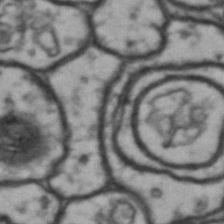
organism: Drosophila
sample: Brain